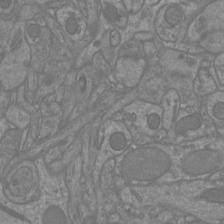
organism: Mouse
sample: Cortical neurons